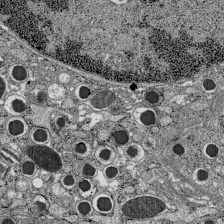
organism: C57BL Mouse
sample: Pancreatic islet